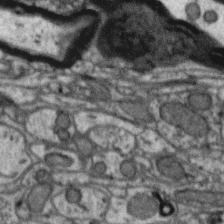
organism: Zebra finch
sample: Brain